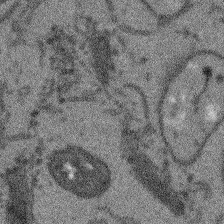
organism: Arabidopsis thaliana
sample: Root tip